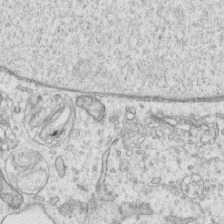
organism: Human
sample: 1205lu cells